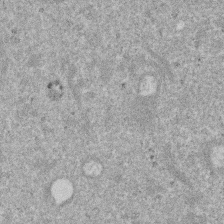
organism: Mouse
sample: Dividing mouse embryo 1 cell stage